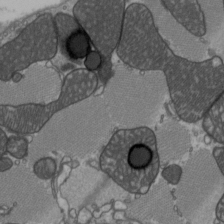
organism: C57BL Mouse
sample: Heart